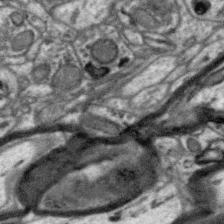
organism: Zebra finch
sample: Brain